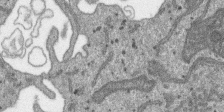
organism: Human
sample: Lung epithelial cells infected with SARS-CoV-2